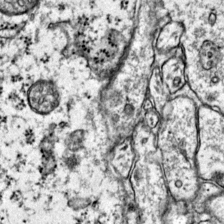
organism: Mouse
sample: Primary visual cortex